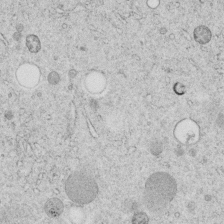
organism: C. elegans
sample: C. elegans embryo early stage